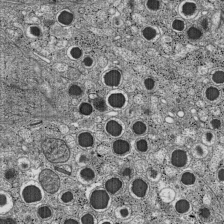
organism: C57BL Mouse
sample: Pancreatic islet